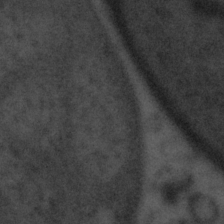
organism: Tuwongella immobilis